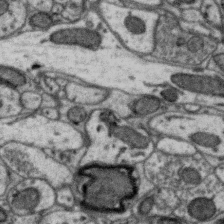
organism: Zebra finch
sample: Brain